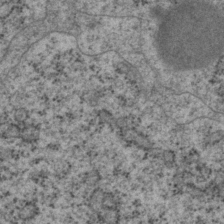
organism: P. pacificus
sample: Pharynx